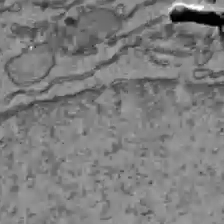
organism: C57BL Mouse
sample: Liver